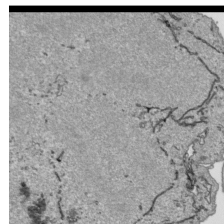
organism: Human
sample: Mitochondria in HCT116 cells